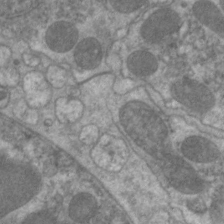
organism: C. elegans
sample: Pharynx